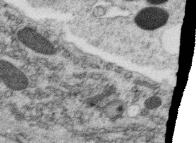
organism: C. elegans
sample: C. elegans oocyte; sperm cells